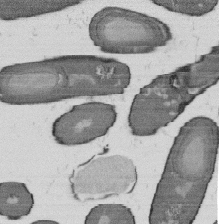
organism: B. subtilis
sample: Bacterial spore